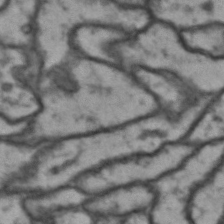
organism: Drosophila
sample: Brain